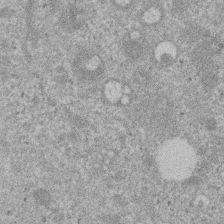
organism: Mouse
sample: Dividing mouse embryo 1 cell stage